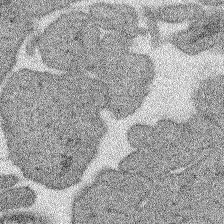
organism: Human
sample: HeLa cells